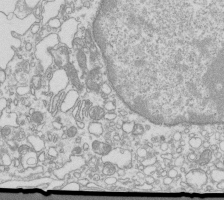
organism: Mouse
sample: Macrophages